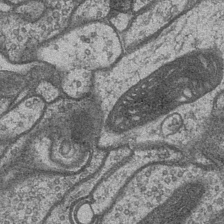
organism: Drosophila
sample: Optic medulla